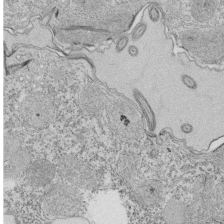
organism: Tetrahymena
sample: Cilia in tetrahymena